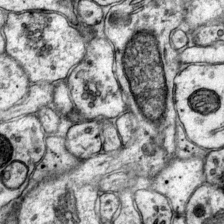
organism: Mouse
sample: Primary visual cortex